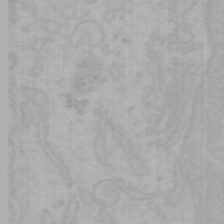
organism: Mouse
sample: Choroid plexus